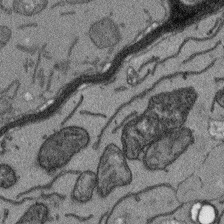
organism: Arabidopsis thaliana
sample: Root tip